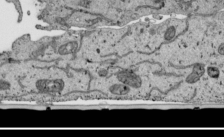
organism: Human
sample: Mitochondria in HCT116 cells